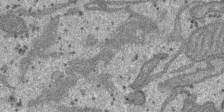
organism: Human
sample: Lung epithelial cells infected with SARS-CoV-2